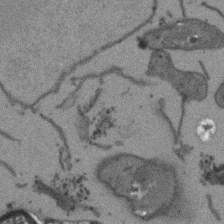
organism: Arabidopsis thaliana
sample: Root tip